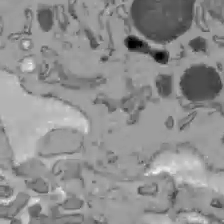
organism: C57BL Mouse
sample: Liver